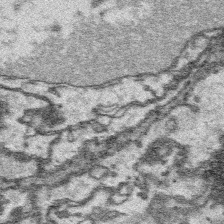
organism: Platynereis dumerilii